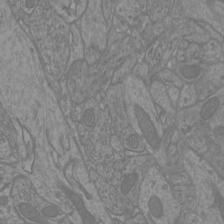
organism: Mouse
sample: Cortical neurons